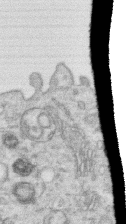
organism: Human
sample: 1205lu cells